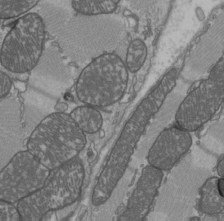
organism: C57BL Mouse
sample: Heart